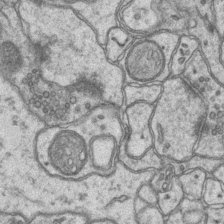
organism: Mouse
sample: CA1 Hippocampus